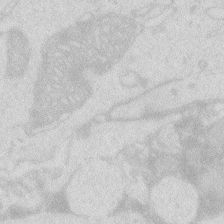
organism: Zebrafish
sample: Macrophage